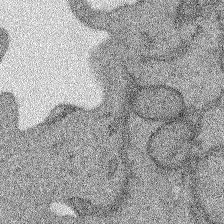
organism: Human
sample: HeLa cells